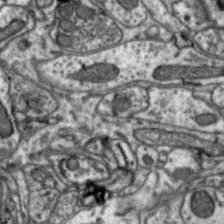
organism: Zebra finch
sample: Brain